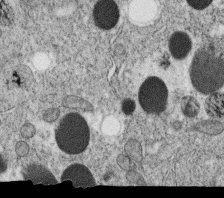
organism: C. elegans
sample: C. elegans oocyte; sperm cells